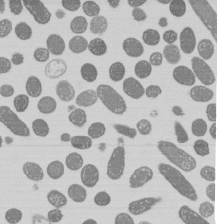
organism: E. coli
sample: Bacterial nucleoid